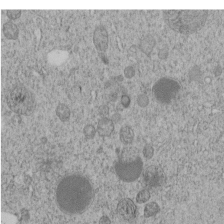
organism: C. elegans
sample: C. elegans embryo early stage